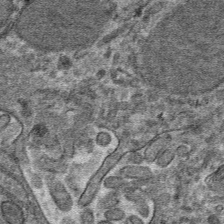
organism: Mouse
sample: Mouse hepatocytes